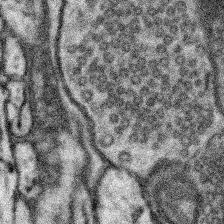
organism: Mouse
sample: Somatosensory cortex neuropil